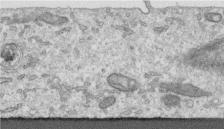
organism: Human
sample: Centriole in RPE cells